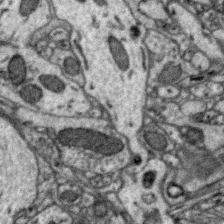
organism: Zebra finch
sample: Brain